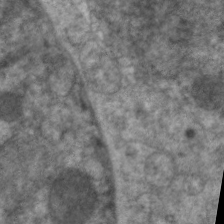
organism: C. elegans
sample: Pharynx